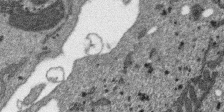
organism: Human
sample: Lung epithelial cells infected with SARS-CoV-2